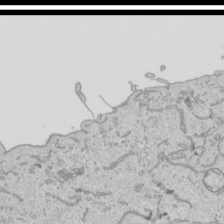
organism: Human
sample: Mitochondria in HCT116 cells